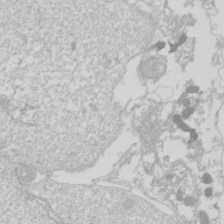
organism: Drosophila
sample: Cell division; meiosis; drosophila spermatocytes